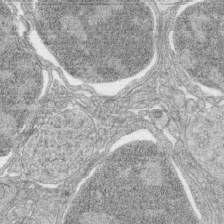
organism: Zebrafish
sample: synaptic ribbons in rod cells and cone cells